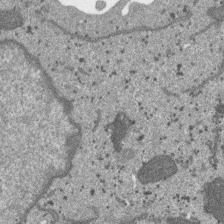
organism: Human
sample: Lung epithelial cells infected with SARS-CoV-2